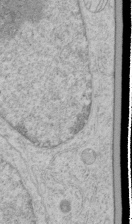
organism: Human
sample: Mitochondria in HCT116 cells